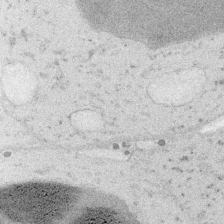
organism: Embia sp.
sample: Silk gland